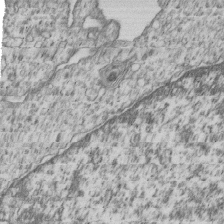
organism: Human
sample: MDA-MB-231 cells